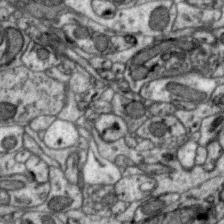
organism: Zebra finch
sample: Brain